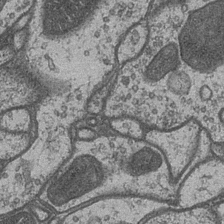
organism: Drosophila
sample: Optic medulla